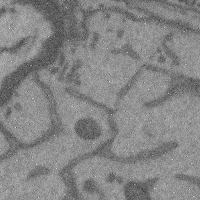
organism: Mouse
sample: Cerebral cortex